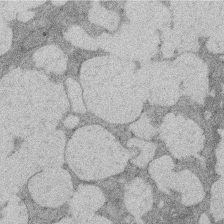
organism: Rat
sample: Salivary granule